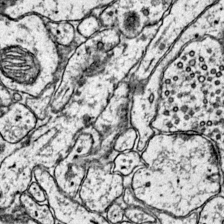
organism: Mouse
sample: Primary visual cortex